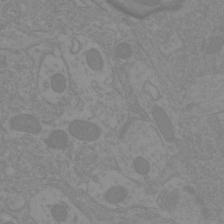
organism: Mouse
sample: Cortical neurons